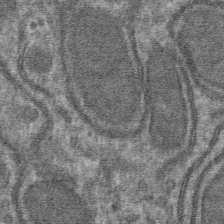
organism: Mouse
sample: Mouse hepatocytes